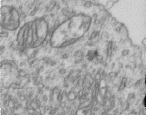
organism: Human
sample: Centriole in RPE cells